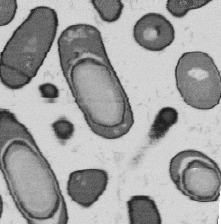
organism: B. subtilis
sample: Bacterial spore